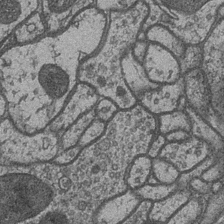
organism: Drosophila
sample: Optic medulla